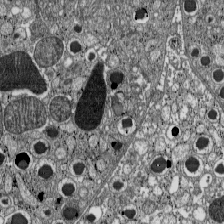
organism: C57BL Mouse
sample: Pancreatic islet